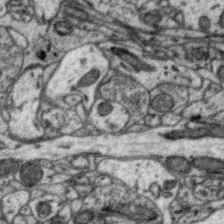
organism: Zebra finch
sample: Brain